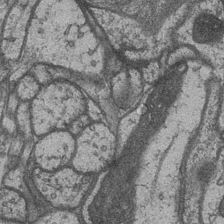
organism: Drosophila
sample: Optic medulla